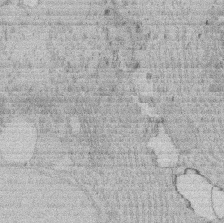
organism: Rat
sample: Salivary granule